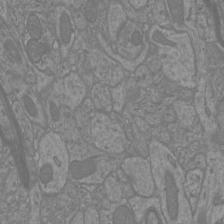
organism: Mouse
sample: Cortical neurons